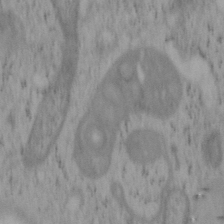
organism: Mouse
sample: OT-I killer T cells with ID8 ovarian cancer cells